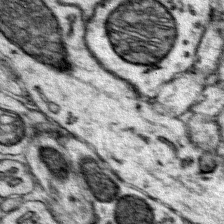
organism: Mouse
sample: Primary visual cortex